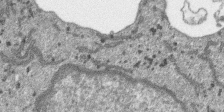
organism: Human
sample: Lung epithelial cells infected with SARS-CoV-2